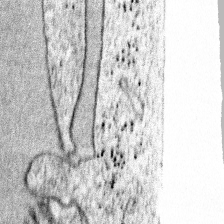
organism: Human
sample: HeLa cells